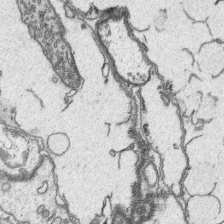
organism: Platynereis dumerilii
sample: Parapodia